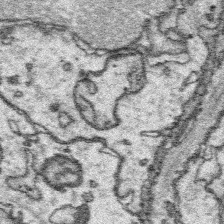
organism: Platynereis dumerilii